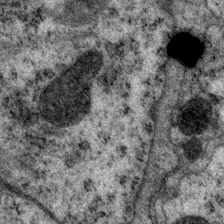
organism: P. pacificus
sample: Pharynx